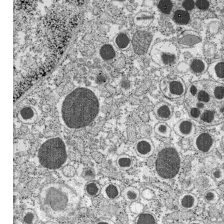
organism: C57BL Mouse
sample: Pancreatic islet